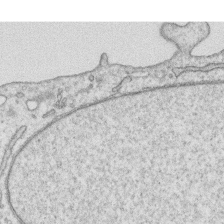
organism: Human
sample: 1205lu cells